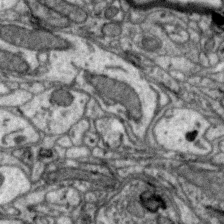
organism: Zebra finch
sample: Brain